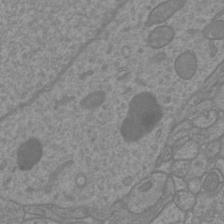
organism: Mouse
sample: Cortical neurons